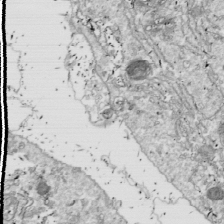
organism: Drosophila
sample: Cell division; meiosis; drosophila spermatocytes